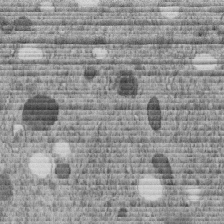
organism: C. elegans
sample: C. elegans embryo early stage